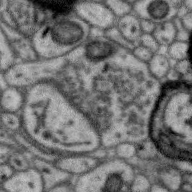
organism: Zebra finch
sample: Brain